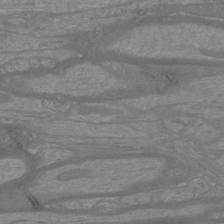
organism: Mouse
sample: Cortical neurons